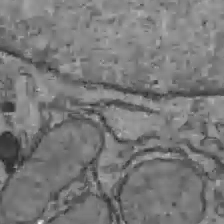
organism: C57BL Mouse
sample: Liver